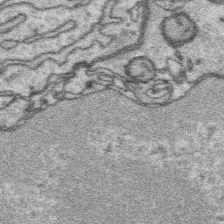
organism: Platynereis dumerilii